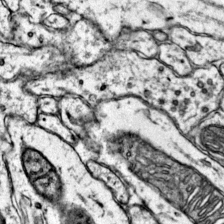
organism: Mouse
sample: Primary visual cortex